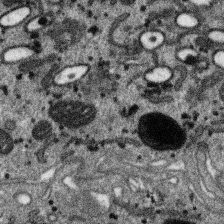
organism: Human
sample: Lung epithelial cells infected with SARS-CoV-2